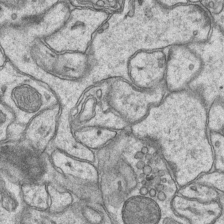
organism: Mouse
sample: CA1 Hippocampus